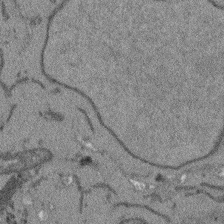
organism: Arabidopsis thaliana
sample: Root tip